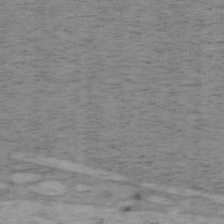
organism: Mouse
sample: OT-I killer T cells with ID8 ovarian cancer cells